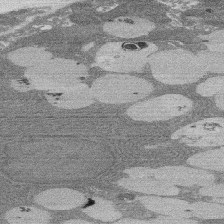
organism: Rat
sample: Salivary granule